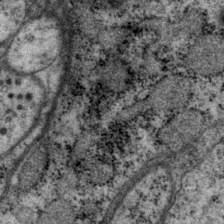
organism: P. pacificus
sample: Pharynx